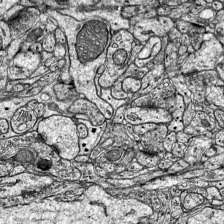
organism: Mouse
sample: Visual Cortex